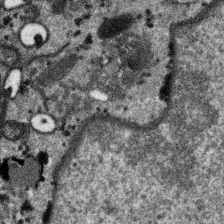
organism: Human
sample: Lung epithelial cells infected with SARS-CoV-2